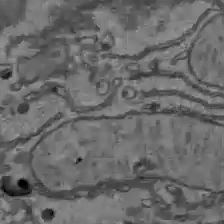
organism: C57BL Mouse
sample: Liver